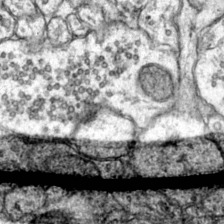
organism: Mouse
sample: Primary visual cortex